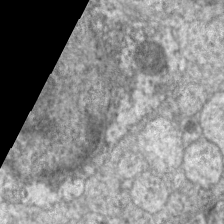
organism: C. elegans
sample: Pharynx